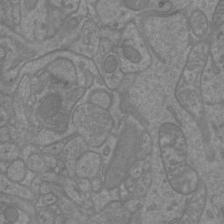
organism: Mouse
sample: Cortical neurons